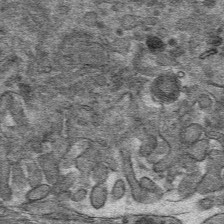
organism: Mouse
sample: Mouse hepatocytes